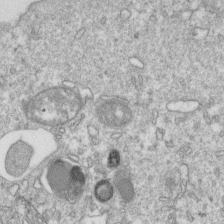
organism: Mouse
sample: Activated OT-1 CD8+ T cells